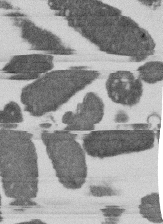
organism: E. coli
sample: Bacterial nucleoid